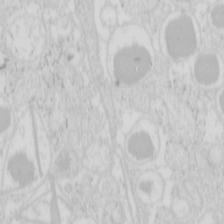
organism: Mouse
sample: Pancreas